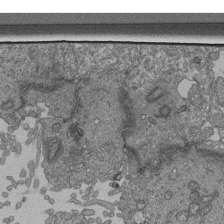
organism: Human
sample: Retinal organoid Rod and Cone cells